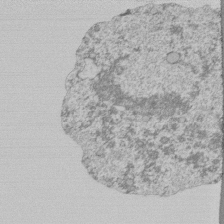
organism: Mouse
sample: Activated Pmel transgenic CD8+ T Cells